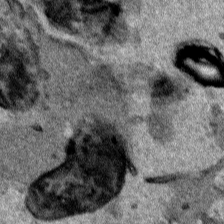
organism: Human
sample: Mitochondria in HCT116 cells